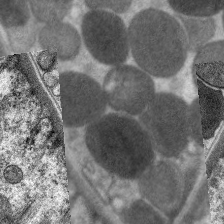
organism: C. elegans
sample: Pharynx